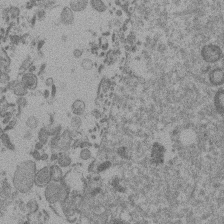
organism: Mouse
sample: Dividing mouse embryo 1 cell stage